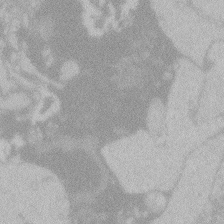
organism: Zebrafish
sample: Macrophage infected with Toxoplasma gondii